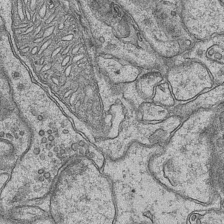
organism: Mouse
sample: CA1 Hippocampus